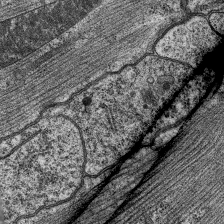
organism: C. elegans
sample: Pharynx